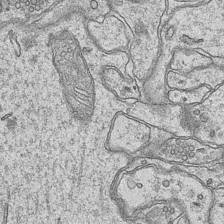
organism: Mouse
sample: CA1 Hippocampus